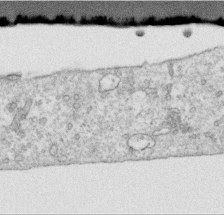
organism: Human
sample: Centriole in RPE cells